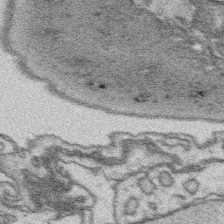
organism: Platynereis dumerilii